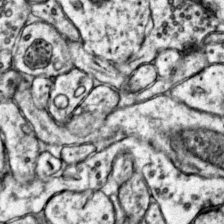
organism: Mouse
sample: Primary visual cortex